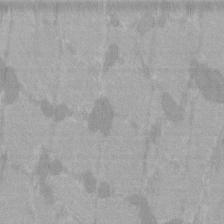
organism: C57BL Mouse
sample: Tibialis anterior muscle cell